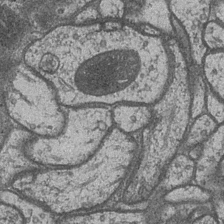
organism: Drosophila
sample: Optic medulla